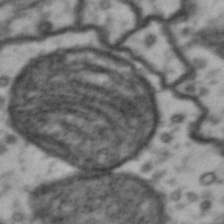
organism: Drosophila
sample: Brain